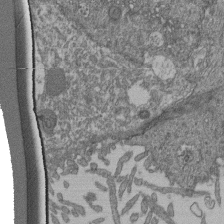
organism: Human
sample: Retinal organoid Rod and Cone cells